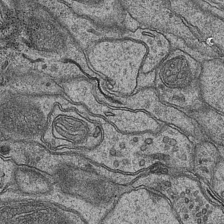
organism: Mouse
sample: CA1 Hippocampus